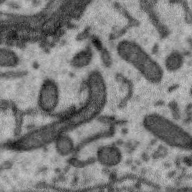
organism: Zebra finch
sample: Brain